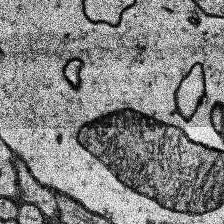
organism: Human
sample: Temporal Lobe